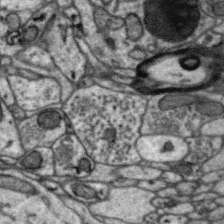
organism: Zebra finch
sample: Brain